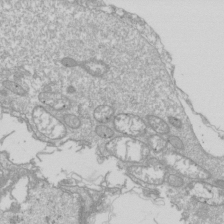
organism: Drosophila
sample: Cell division; meiosis; drosophila spermatocytes